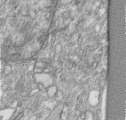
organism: Human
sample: Centriole in RPE cells